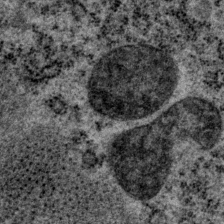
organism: P. pacificus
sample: Pharynx